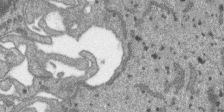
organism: Human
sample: Lung epithelial cells infected with SARS-CoV-2